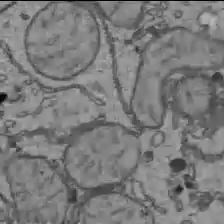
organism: C57BL Mouse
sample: Liver